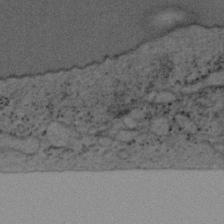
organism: Human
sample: HeLa cells